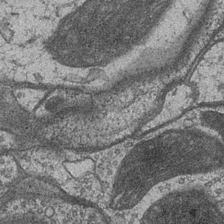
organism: Drosophila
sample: Optic medulla